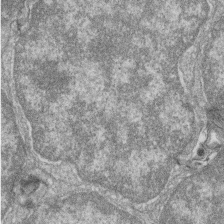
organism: Zebrafish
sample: Cilia; retinal pigment epithelium